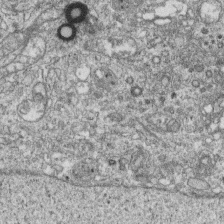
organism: Human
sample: HeLa cell HIV synapse